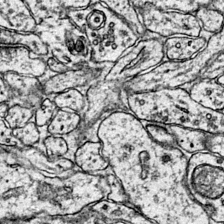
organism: Mouse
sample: Primary visual cortex